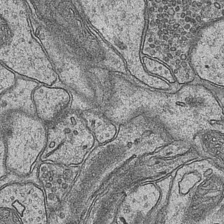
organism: Mouse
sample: CA1 Hippocampus